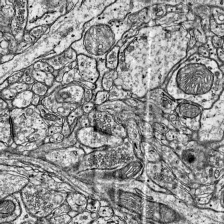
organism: Mouse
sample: Visual Cortex